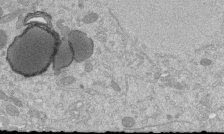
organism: Mouse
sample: ED-1 cell nuclei; centrioles